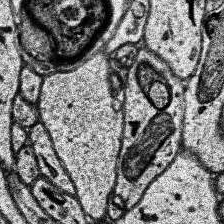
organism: Human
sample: Temporal Lobe